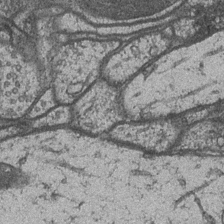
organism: Drosophila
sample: Optic medulla